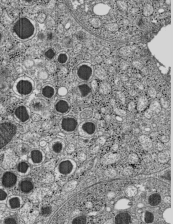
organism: C57BL Mouse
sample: Pancreatic islet